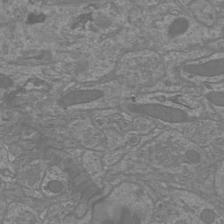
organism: Mouse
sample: Cortical neurons